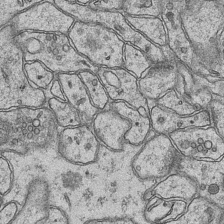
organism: Mouse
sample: CA1 Hippocampus